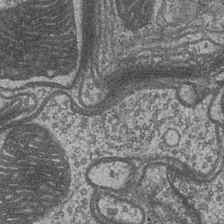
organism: Drosophila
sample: Optic medulla